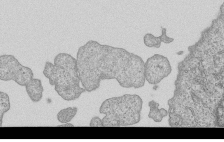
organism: Human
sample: MDA-MB-231 cells